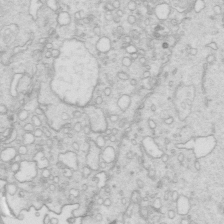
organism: Mouse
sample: Multiciliated cells